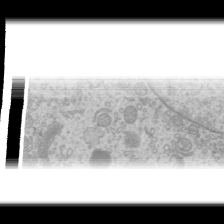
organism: Mouse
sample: Cilia; mouse epididymis